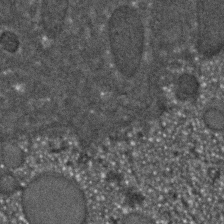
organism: C. elegans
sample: C. elegans embryo